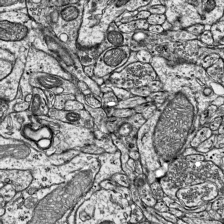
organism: Mouse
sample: Visual Cortex